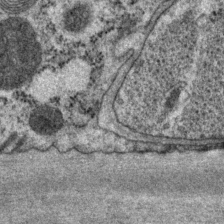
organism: P. pacificus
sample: Pharynx